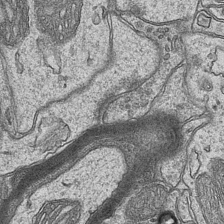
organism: Mouse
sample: CA1 Hippocampus